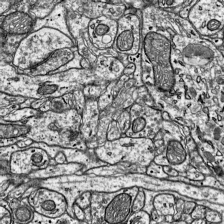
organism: Mouse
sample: Visual Cortex